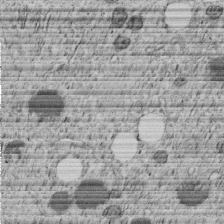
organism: C. elegans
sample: C. elegans embryo early stage